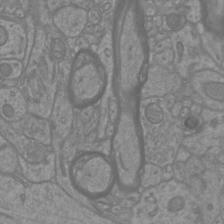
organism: Mouse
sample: Cortical neurons